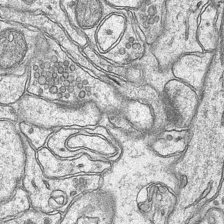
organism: Mouse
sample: CA1 Hippocampus